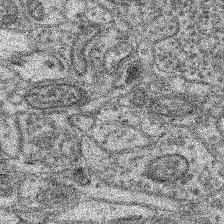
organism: Mouse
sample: Retina